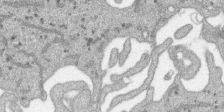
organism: Human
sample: Lung epithelial cells infected with SARS-CoV-2